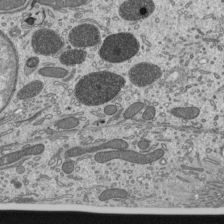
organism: Mouse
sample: Mouse epididymis efferent ductule cilia